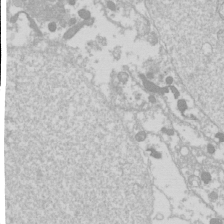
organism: Drosophila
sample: Cell division; meiosis; drosophila spermatocytes